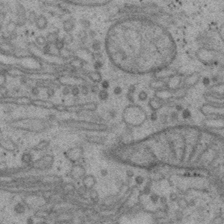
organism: Human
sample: HeLa cells